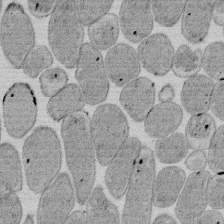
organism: E. coli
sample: Bacterial nucleoid